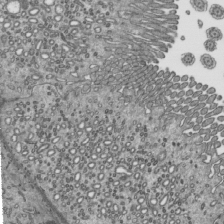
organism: Mouse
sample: Mouse epididymis efferent ductule cilia